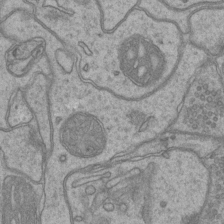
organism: Mouse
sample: CA1 Hippocampus